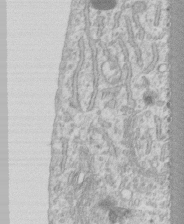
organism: Human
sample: CRL-1474